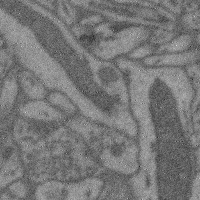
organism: Mouse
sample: Cerebral cortex